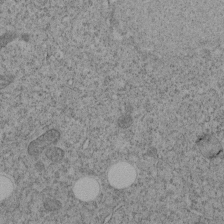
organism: C. elegans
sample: C. elegans embryo early stage